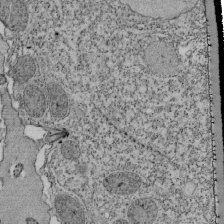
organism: Tetrahymena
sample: Cilia in tetrahymena